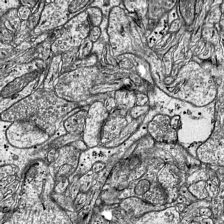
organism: Mouse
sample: Visual Cortex